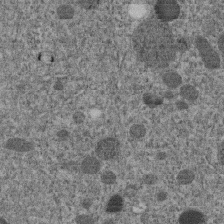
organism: C. elegans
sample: C. elegans embryo early stage